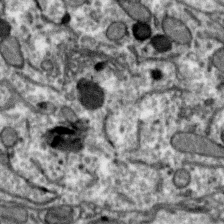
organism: Zebra finch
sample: Brain